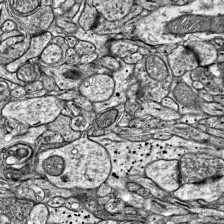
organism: Mouse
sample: Visual Cortex